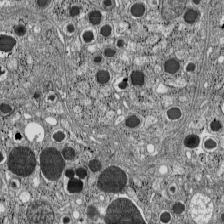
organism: C57BL Mouse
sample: Pancreatic islet